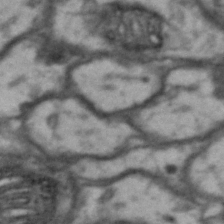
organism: Drosophila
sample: Brain